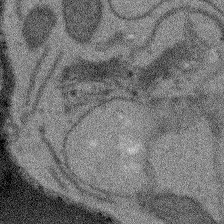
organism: Arabidopsis thaliana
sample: Root tip